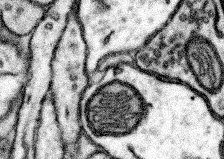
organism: Mouse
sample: Somatosensory cortex neuropil